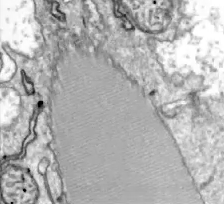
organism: Zebrafish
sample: Actinotrichia fibers